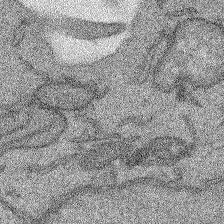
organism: Human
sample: HeLa cells